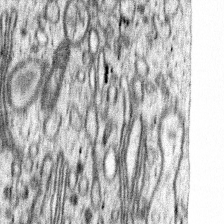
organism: Human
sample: HeLa cells